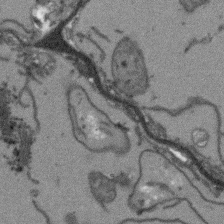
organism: Arabidopsis thaliana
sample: Root tip